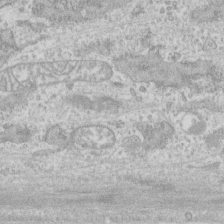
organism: Human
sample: CRL-1474